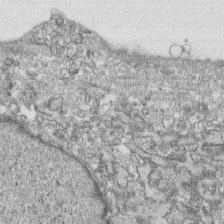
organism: Human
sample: CRL-1474